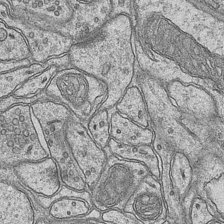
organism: Mouse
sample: CA1 Hippocampus